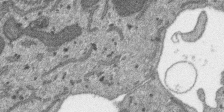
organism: Human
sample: Lung epithelial cells infected with SARS-CoV-2